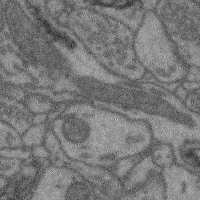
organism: Mouse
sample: Cerebral cortex